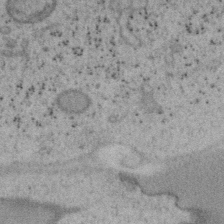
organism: Human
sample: HeLa cells